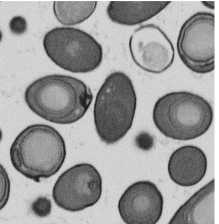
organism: B. subtilis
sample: Bacterial spore